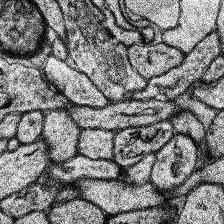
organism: Human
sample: Temporal Lobe